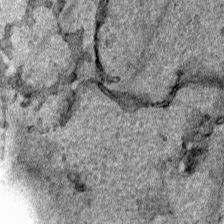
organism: Human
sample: Mitochondria in HCT116 cells